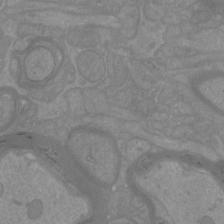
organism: Mouse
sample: Cortical neurons